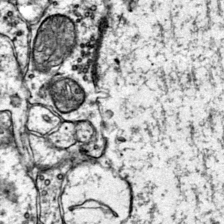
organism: Mouse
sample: Primary visual cortex